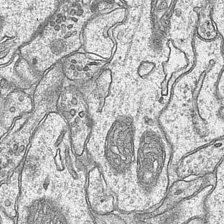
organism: Mouse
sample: CA1 Hippocampus